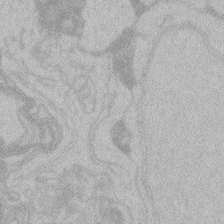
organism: Zebrafish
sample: Macrophage infected with Toxoplasma gondii